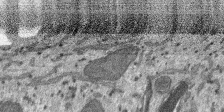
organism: Human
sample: Lung epithelial cells infected with SARS-CoV-2